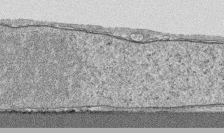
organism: Human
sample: CRL-1474